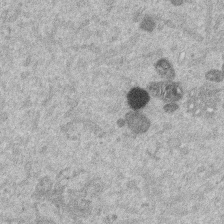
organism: Mouse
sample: Dividing mouse embryo 1 cell stage